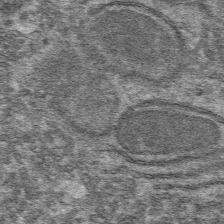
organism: Mouse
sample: Mouse hepatocytes